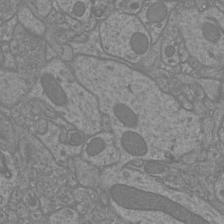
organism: Mouse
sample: Cortical neurons